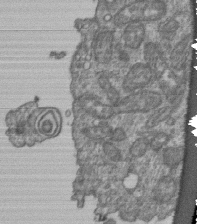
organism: Human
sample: Retinal organoid Rod and Cone cells